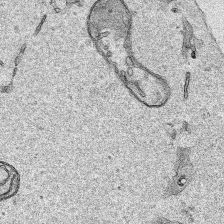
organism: Human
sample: Mitochondria in HCT116 cells